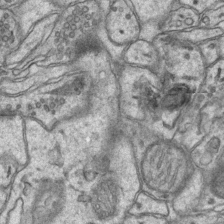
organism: Mouse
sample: CA1 Hippocampus